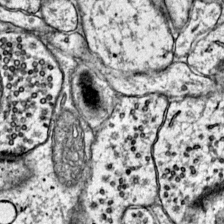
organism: Mouse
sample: Primary visual cortex